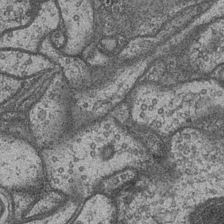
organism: Drosophila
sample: Optic medulla